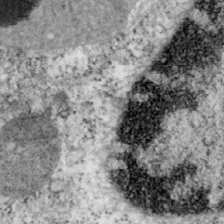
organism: Mouse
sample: OT-I killer T cells with ID8 ovarian cancer cells